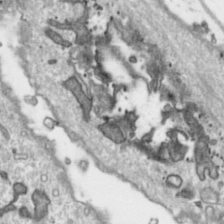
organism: Toxoplasma gondii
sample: Parasites in a vacuole inside a host cell